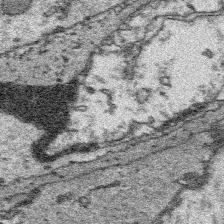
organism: Platynereis dumerilii